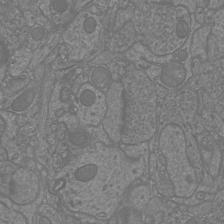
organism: Mouse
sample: Cortical neurons